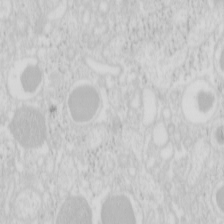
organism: Mouse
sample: Pancreas